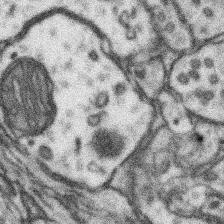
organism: Mouse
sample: Somatosensory cortex neuropil